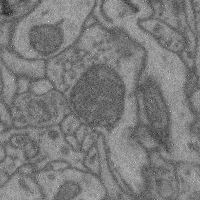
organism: Mouse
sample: Cerebral cortex